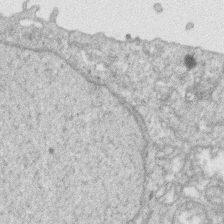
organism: Human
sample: HeLa cell HIV synapse